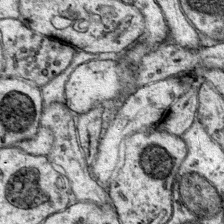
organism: Mouse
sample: Primary visual cortex